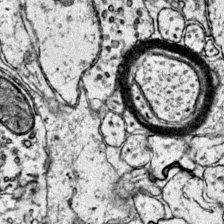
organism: Mouse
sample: Primary visual cortex